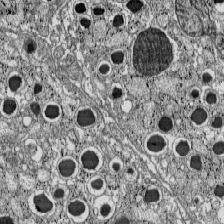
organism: C57BL Mouse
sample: Pancreatic islet